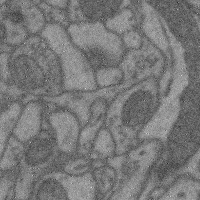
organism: Mouse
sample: Cerebral cortex